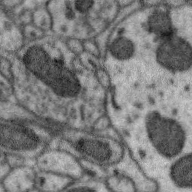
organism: Zebra finch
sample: Brain